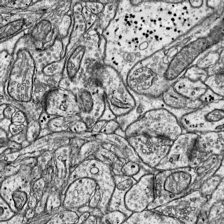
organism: Mouse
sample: Visual Cortex